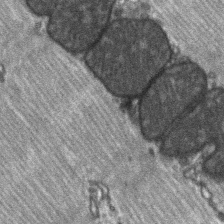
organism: C57BL Mouse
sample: Soleus